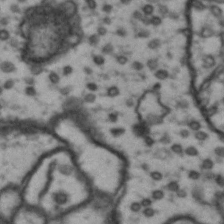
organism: Drosophila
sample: Brain